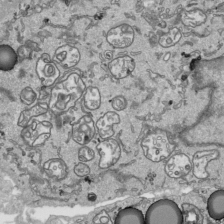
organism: Human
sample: Mitochondria in HCT116 cells